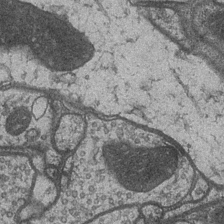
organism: Drosophila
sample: Optic medulla